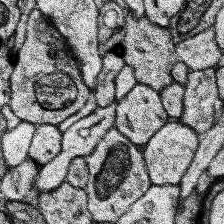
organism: Human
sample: Temporal Lobe